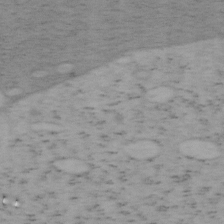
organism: Mouse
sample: OT-I killer T cells with ID8 ovarian cancer cells